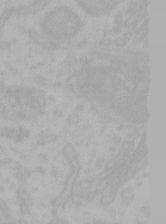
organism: Mouse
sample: Choroid plexus